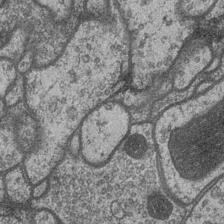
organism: Drosophila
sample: Optic medulla